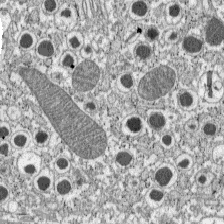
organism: C57BL Mouse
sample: Pancreatic islet